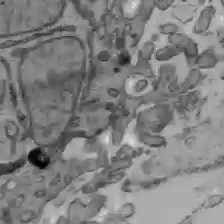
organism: C57BL Mouse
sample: Liver